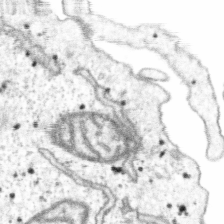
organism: Human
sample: HeLa cells